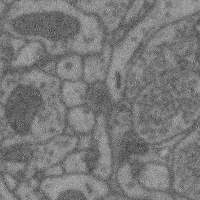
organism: Mouse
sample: Cerebral cortex